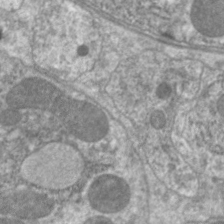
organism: C. elegans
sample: Pharynx